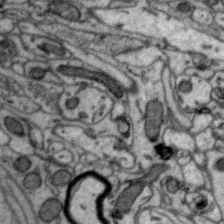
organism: Zebra finch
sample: Brain